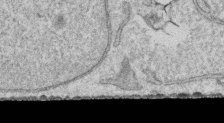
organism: Human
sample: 1205lu cells